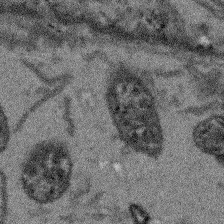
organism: Arabidopsis thaliana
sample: Root tip